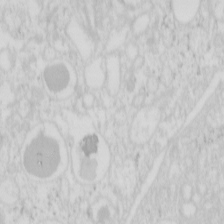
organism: Mouse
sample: Pancreas